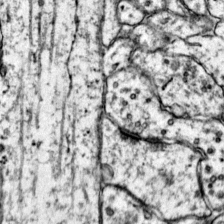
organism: Mouse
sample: Primary visual cortex